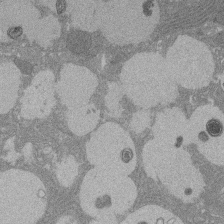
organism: Rat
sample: Salivary granule